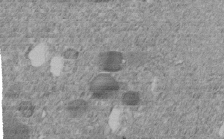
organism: C. elegans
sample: C. elegans embryo early stage